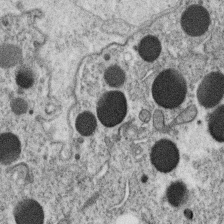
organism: C. elegans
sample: C. elegans oocyte; sperm cells